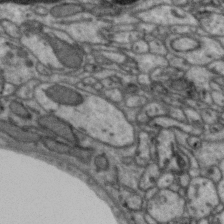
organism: Zebra finch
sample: Brain